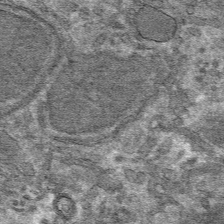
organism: Mouse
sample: Mouse hepatocytes